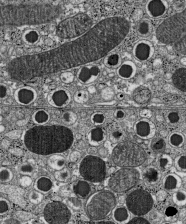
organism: C57BL Mouse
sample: Pancreatic islet